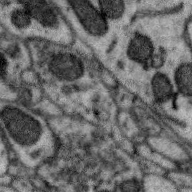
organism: Zebra finch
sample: Brain